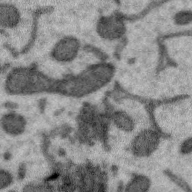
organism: Zebra finch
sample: Brain